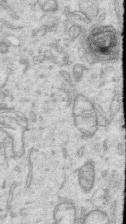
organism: Human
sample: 1205lu cells